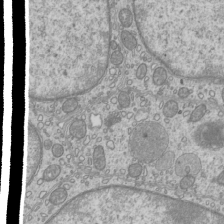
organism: Mouse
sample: Cilia; mouse epididymis